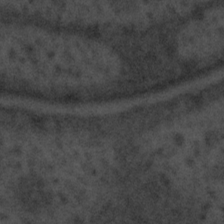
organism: Tuwongella immobilis